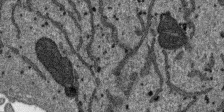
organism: Human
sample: Lung epithelial cells infected with SARS-CoV-2